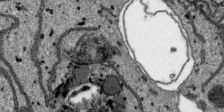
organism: Human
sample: Lung epithelial cells, uninfected (mock) control